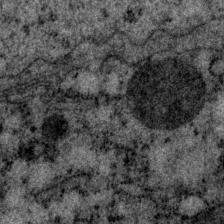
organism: P. pacificus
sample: Pharynx